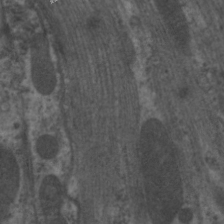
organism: C. elegans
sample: Pharynx